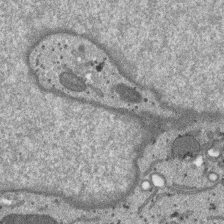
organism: Human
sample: Lung epithelial cells infected with SARS-CoV-2